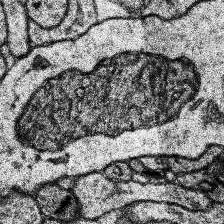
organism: Human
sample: Temporal Lobe